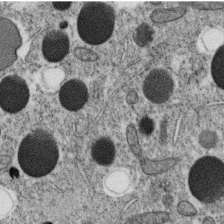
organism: C. elegans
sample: C. elegans oocyte; sperm cells